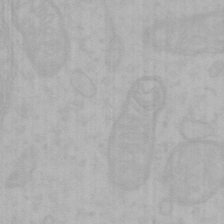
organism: Mouse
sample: Choroid plexus